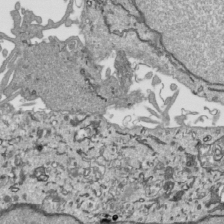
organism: Human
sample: Mitochondria in HCT116 cells